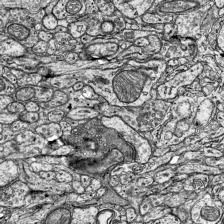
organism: Mouse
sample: Visual Cortex